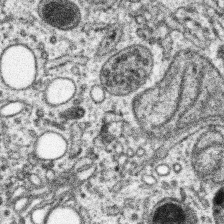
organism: Human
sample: HeLa cells